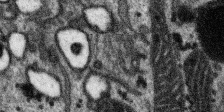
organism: Human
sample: Lung epithelial cells infected with SARS-CoV-2